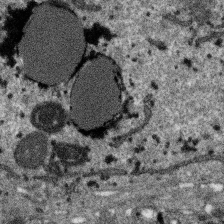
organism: Human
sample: Lung epithelial cells infected with SARS-CoV-2